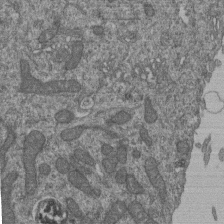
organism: Human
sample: Retinal organoid Rod and Cone cells